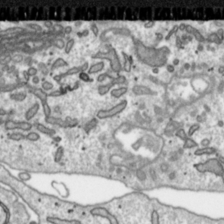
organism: Toxoplasma gondii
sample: Parasites in a vacuole inside a host cell